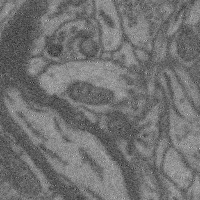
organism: Mouse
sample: Cerebral cortex